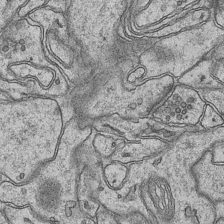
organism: Mouse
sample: CA1 Hippocampus